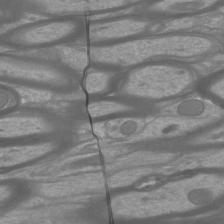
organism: Mouse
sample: Cortical neurons